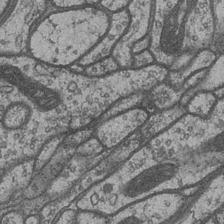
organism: Drosophila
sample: Optic medulla